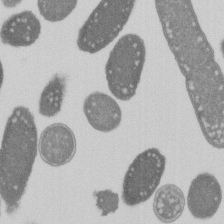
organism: E. coli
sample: Bacterial nucleoid